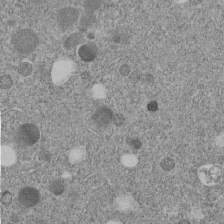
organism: C. elegans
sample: C. elegans embryo early stage